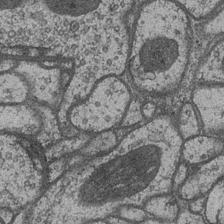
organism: Drosophila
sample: Optic medulla